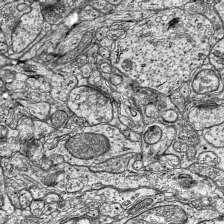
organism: Mouse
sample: Visual Cortex